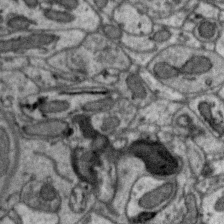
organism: Zebra finch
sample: Brain